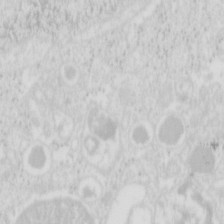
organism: Mouse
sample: Pancreas